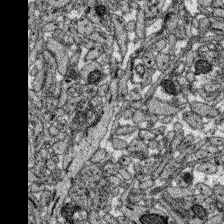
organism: Zebrafish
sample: Larval olfactory bulb